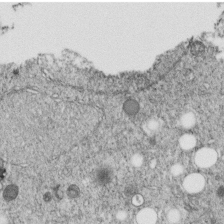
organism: C. elegans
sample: C. elegans embryo early stage